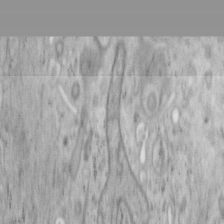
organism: Human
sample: HeLa cells